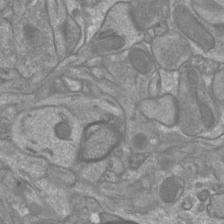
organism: Mouse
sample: Cortical neurons